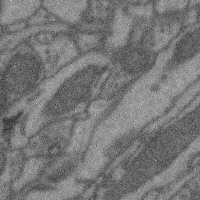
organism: Mouse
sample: Cerebral cortex